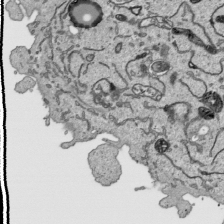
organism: Human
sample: Mitochondria in HCT116 cells